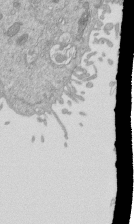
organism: Mouse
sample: ED-1 cell nuclei; centrioles